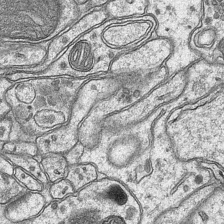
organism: Mouse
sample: CA1 Hippocampus